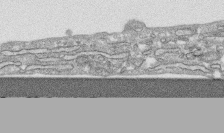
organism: Human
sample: CRL-1474